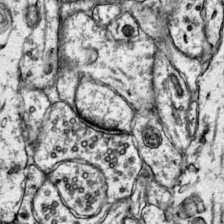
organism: Mouse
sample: Primary visual cortex